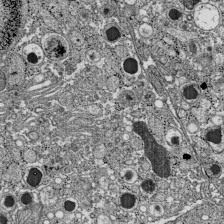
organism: C57BL Mouse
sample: Pancreatic islet